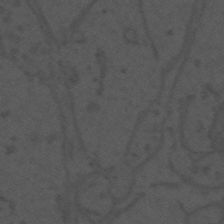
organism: Mouse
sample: Suprachiasmatic nucleus